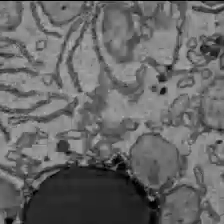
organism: C57BL Mouse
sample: Liver